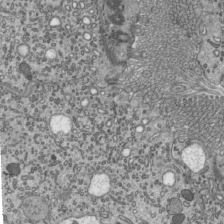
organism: Mouse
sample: Mouse epididymis efferent ductule cilia